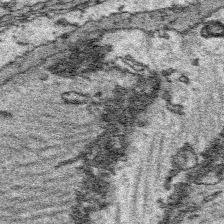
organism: Platynereis dumerilii